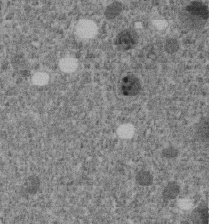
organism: C. elegans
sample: C. elegans embryo early stage